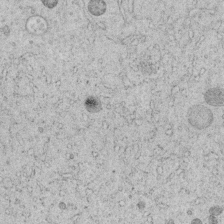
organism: C. elegans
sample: C. elegans embryo early stage